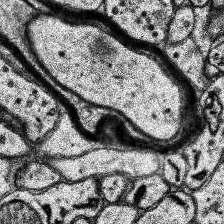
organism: Human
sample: Temporal Lobe